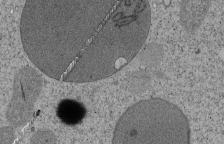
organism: Tetrahymena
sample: Cilia in tetrahymena